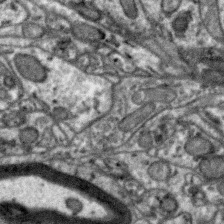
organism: Zebra finch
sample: Brain